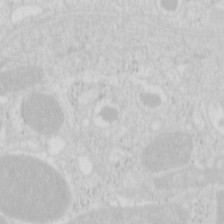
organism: Mouse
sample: Pancreas